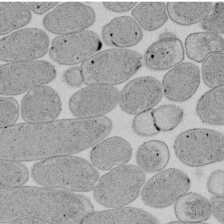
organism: E. coli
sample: Bacterial nucleoid